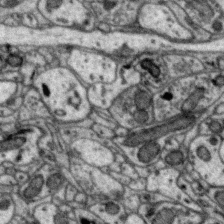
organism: Zebra finch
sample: Brain